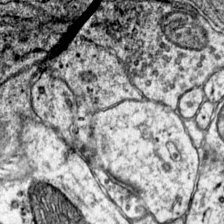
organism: Mouse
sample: Primary visual cortex